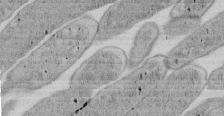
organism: E. coli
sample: Bacterial nucleoid